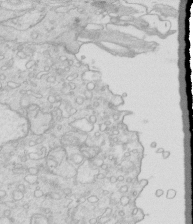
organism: Mouse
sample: Multiciliated cells